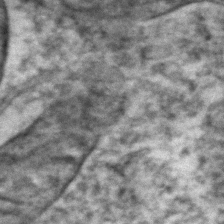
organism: Zebrafish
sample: Zebrafish embryo